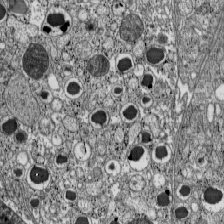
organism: C57BL Mouse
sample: Pancreatic islet